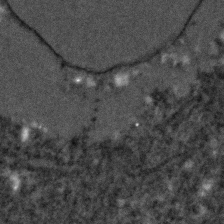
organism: C. elegans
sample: C. elegans embryo